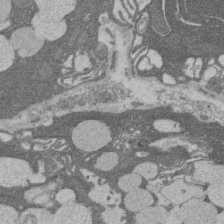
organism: Rat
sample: Salivary granule